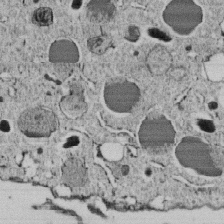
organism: C. elegans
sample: C. elegans embryo early stage